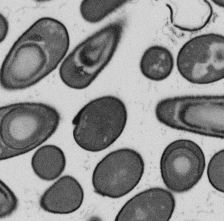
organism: B. subtilis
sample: Bacterial spore